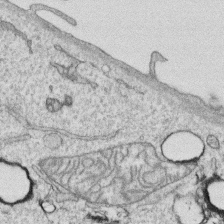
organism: Human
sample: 1205lu cells